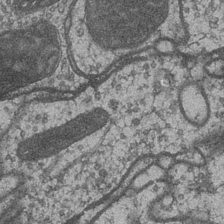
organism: Drosophila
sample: Optic medulla